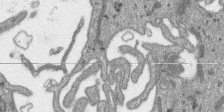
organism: Human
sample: Lung epithelial cells infected with SARS-CoV-2